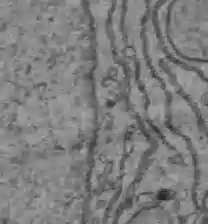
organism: C57BL Mouse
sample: Liver